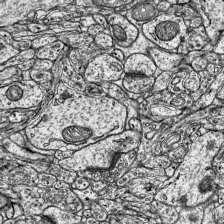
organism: Mouse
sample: Visual Cortex